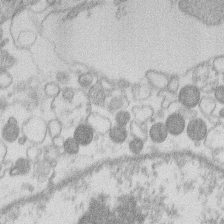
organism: Human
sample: Macrophage cells